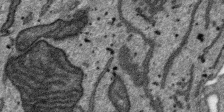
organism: Human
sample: Lung epithelial cells, uninfected (mock) control